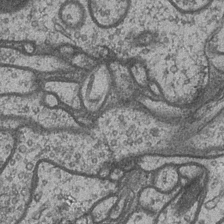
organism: Drosophila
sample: Optic medulla